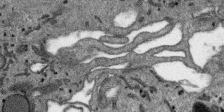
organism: Human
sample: Lung epithelial cells, uninfected (mock) control